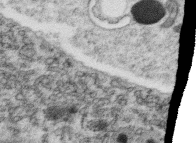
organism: C. elegans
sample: C. elegans oocyte; sperm cells